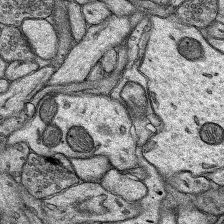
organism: Rat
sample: Hippocampus